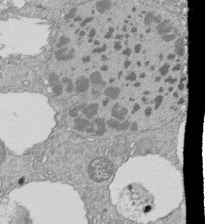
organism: Tetrahymena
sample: Cilia in tetrahymena